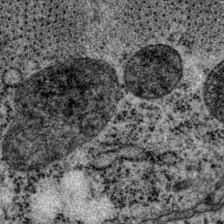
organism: P. pacificus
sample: Pharynx